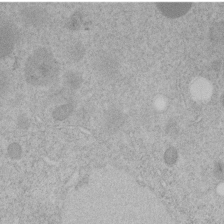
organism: C. elegans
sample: C. elegans embryo early stage